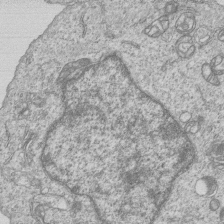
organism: Human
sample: MDA-MB-231 cells